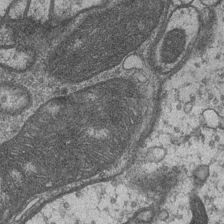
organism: Drosophila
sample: Optic medulla